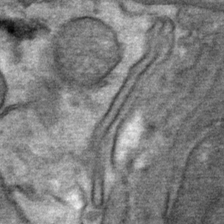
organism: Mouse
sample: Mouse Salivary gland